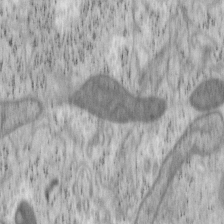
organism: Human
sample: HeLa cells